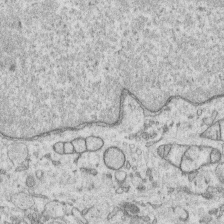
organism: Human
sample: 1205lu cells